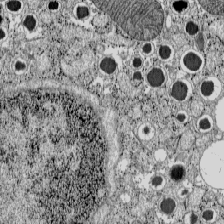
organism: C57BL Mouse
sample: Pancreatic islet